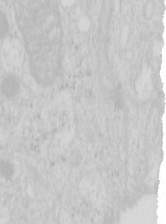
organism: Mouse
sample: Pancreas